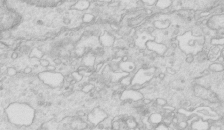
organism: Mouse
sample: Multiciliated cells